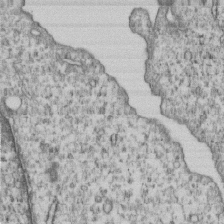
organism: Human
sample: MDA-MB-231 cells